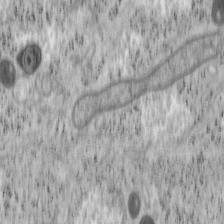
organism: Human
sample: HeLa cells